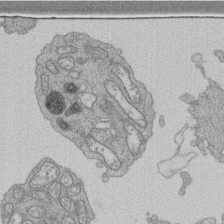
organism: Human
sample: Retinal organoid Rod and Cone cells